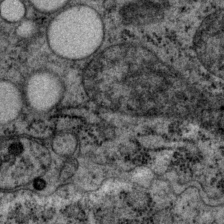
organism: P. pacificus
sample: Pharynx